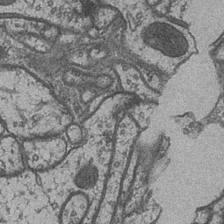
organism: Drosophila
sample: Optic medulla